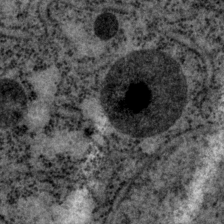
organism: P. pacificus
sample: Pharynx